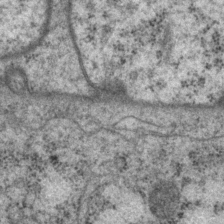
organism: P. pacificus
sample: Pharynx